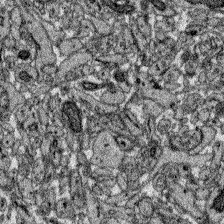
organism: Zebrafish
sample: Larval olfactory bulb